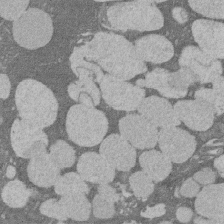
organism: Rat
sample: Salivary granule